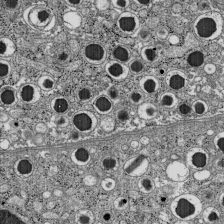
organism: C57BL Mouse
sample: Pancreatic islet